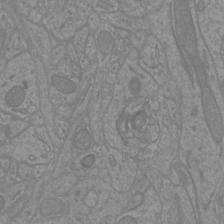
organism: Mouse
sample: Cortical neurons